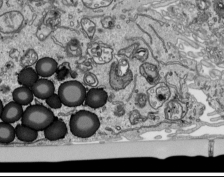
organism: Human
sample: Mitochondria in HCT116 cells